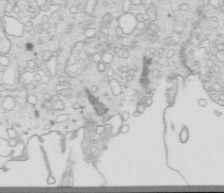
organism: Mouse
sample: Multiciliated cells